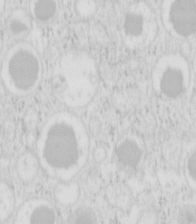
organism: Mouse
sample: Pancreas